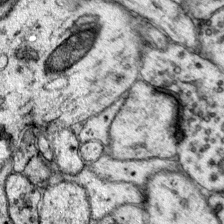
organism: Mouse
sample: Primary visual cortex